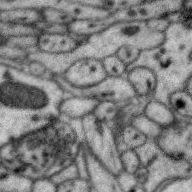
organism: Zebra finch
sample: Brain